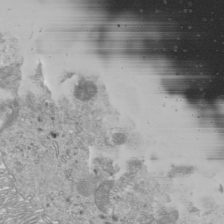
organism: Mouse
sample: Cilia; mouse epididymis